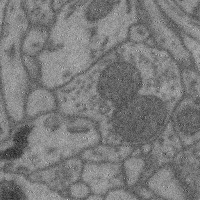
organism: Mouse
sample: Cerebral cortex